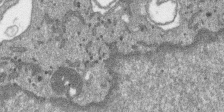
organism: Human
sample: Lung epithelial cells infected with SARS-CoV-2